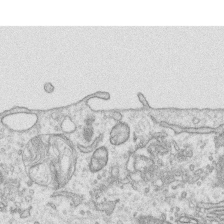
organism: Human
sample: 1205lu cells